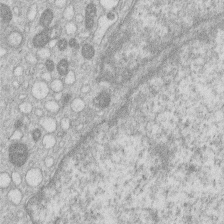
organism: Human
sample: Macrophage cells